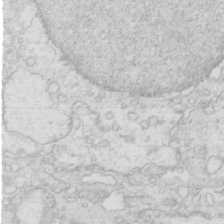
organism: Mouse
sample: Multiciliated cells